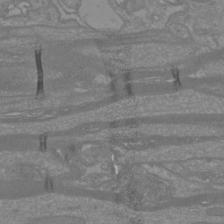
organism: Mouse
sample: Cortical neurons